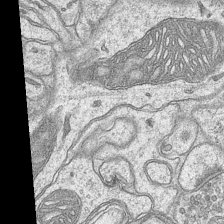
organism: Mouse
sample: CA1 Hippocampus